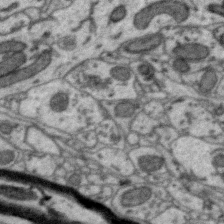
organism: Zebra finch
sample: Brain